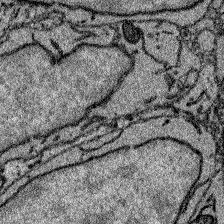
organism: Zebrafish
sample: Larval olfactory bulb